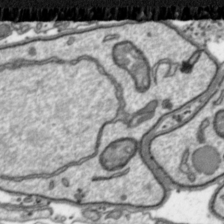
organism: Toxoplasma gondii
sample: Parasites in a vacuole inside a host cell